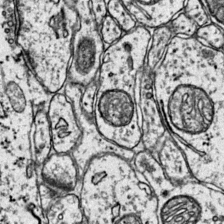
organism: Mouse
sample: Primary visual cortex